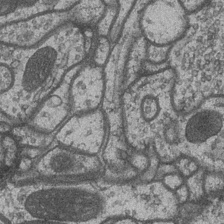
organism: Drosophila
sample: Optic medulla